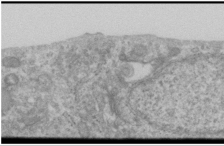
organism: Human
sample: Cilia; basal body in RPE cells